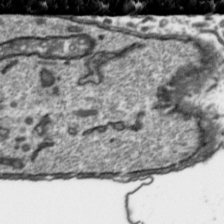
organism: Toxoplasma gondii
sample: Parasites in a vacuole inside a host cell